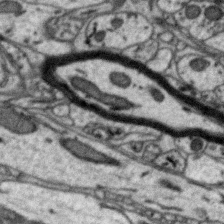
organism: Zebra finch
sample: Brain